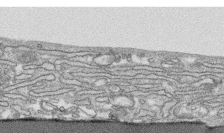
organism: Human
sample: CRL-1474